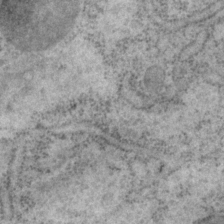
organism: P. pacificus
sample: Pharynx